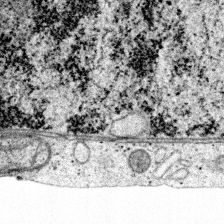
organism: Human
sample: HeLa cells